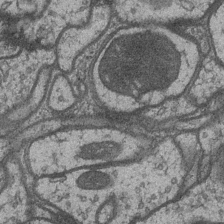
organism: Drosophila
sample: Optic medulla